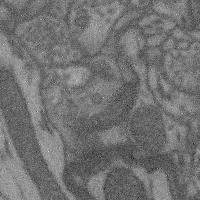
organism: Mouse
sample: Cerebral cortex